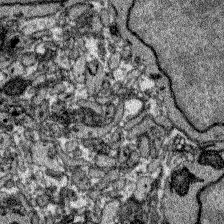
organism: Zebrafish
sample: Larval olfactory bulb